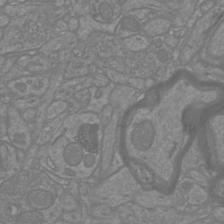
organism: Mouse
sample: Cortical neurons